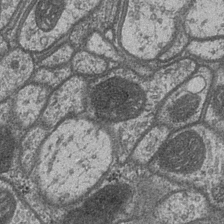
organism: Drosophila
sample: Optic medulla